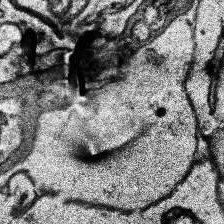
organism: Human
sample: Temporal Lobe